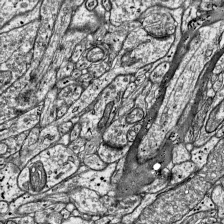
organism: Mouse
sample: Visual Cortex